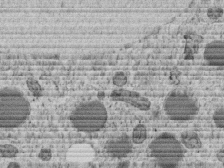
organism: C. elegans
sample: C. elegans embryo early stage